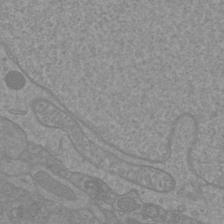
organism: Mouse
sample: Cortical neurons